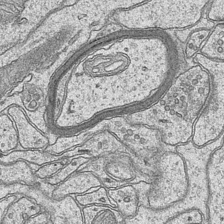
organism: Mouse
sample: CA1 Hippocampus